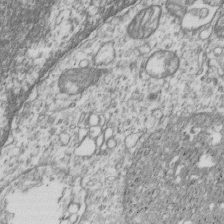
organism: Human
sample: MDA-MB-231 cells